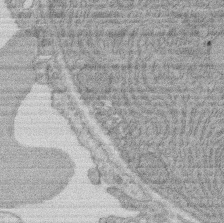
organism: Rat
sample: Salivary granule